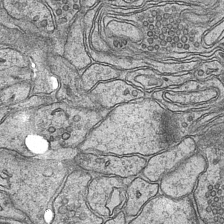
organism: Mouse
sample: CA1 Hippocampus